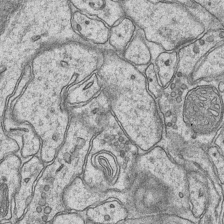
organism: Mouse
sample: CA1 Hippocampus